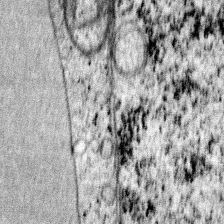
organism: Human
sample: HeLa cells